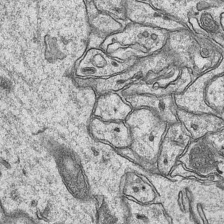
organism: Mouse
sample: CA1 Hippocampus